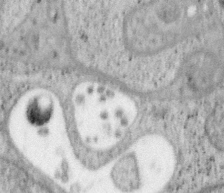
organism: Mouse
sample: OT-I killer T cells with ID8 ovarian cancer cells